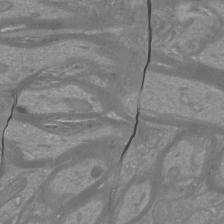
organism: Mouse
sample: Cortical neurons